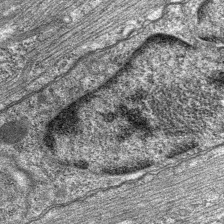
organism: C. elegans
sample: Pharynx